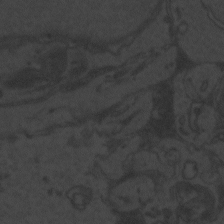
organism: Zebrafish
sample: Macrophage infected with Toxoplasma gondii